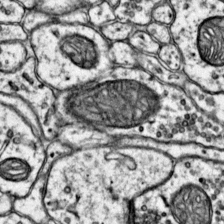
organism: Mouse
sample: Primary visual cortex